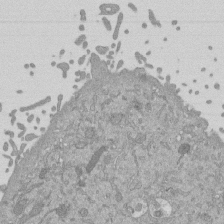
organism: Mouse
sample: ED-1 cell nuclei; centrioles